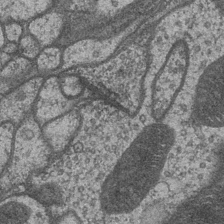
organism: Drosophila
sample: Optic medulla